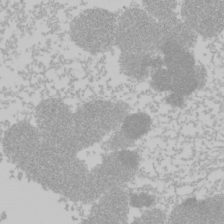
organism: Mouse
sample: Cancer cell death in ED-1 cells